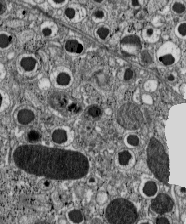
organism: C57BL Mouse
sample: Pancreatic islet